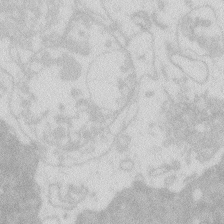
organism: Zebrafish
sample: Macrophage